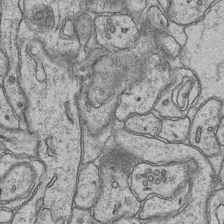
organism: Mouse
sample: CA1 Hippocampus